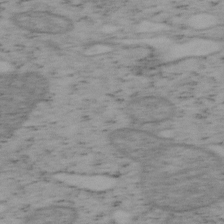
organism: Mouse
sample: OT-I killer T cells with ID8 ovarian cancer cells